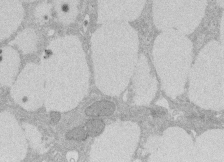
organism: Rat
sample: Salivary granule